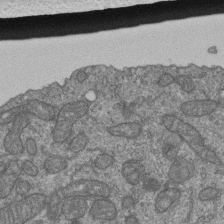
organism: Human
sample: Retinal organoid Rod and Cone cells